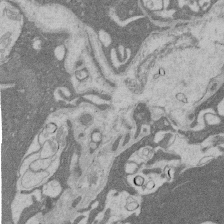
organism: Rat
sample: Salivary granule